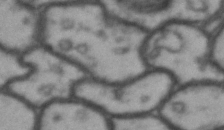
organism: Drosophila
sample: Brain